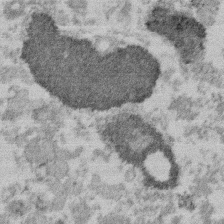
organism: Mouse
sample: Dividing mouse embryo 1 cell stage